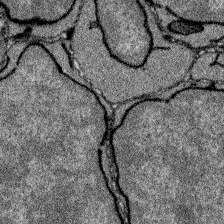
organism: Zebrafish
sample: Larval olfactory bulb